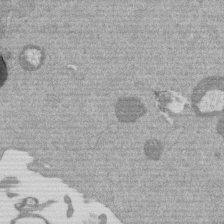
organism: Mouse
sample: Dividing mouse embryo 1 cell stage